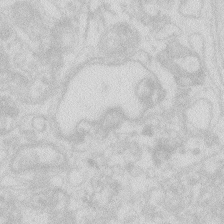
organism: Zebrafish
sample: Macrophage